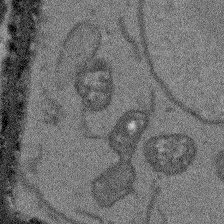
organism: Arabidopsis thaliana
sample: Root tip